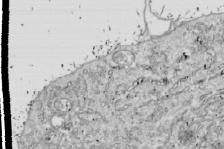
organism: Drosophila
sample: Cell division; meiosis; drosophila spermatocytes